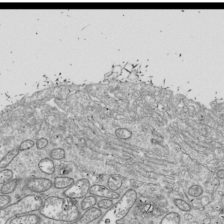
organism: Drosophila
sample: Cell division; meiosis; drosophila spermatocytes